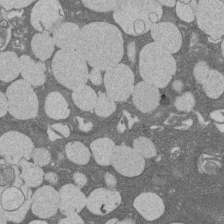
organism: Rat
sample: Salivary granule